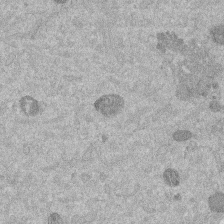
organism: Mouse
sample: Dividing mouse embryo 1 cell stage